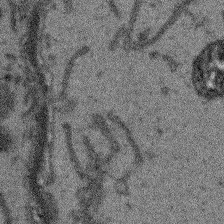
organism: Arabidopsis thaliana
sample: Root tip